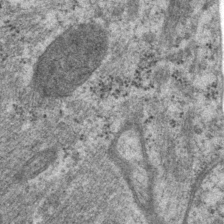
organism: P. pacificus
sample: Pharynx